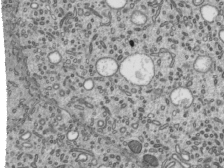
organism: Mouse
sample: Mouse epididymis efferent ductule cilia